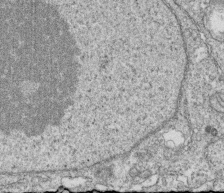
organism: Human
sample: HeLa cell HIV synapse